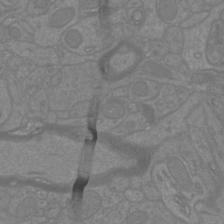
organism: Mouse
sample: Cortical neurons